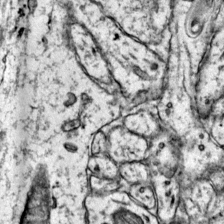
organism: Mouse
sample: Primary visual cortex